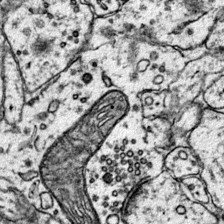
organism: Mouse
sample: Primary visual cortex